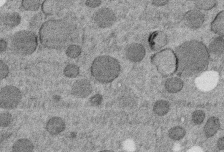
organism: C. elegans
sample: C. elegans embryo early stage